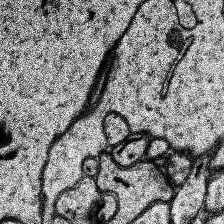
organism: Human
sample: Temporal Lobe